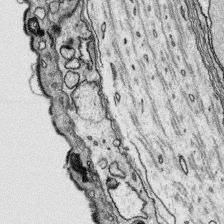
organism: Platynereis dumerilii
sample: Parapodia